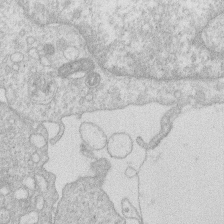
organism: Human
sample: Macrophage cells